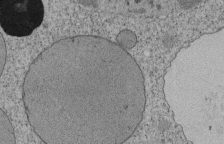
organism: Tetrahymena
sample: Cilia in tetrahymena